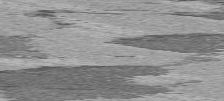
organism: C57BL Mouse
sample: Heart